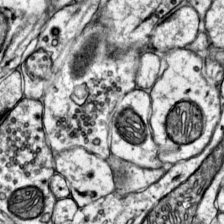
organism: Mouse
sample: Primary visual cortex